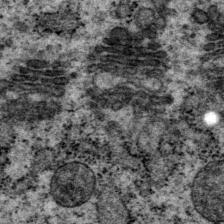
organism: P. pacificus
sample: Pharynx